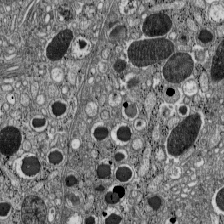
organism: C57BL Mouse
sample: Pancreatic islet